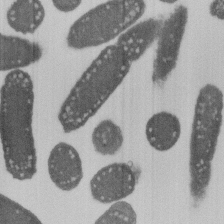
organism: E. coli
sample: Bacterial nucleoid